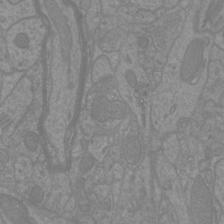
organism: Mouse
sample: Cortical neurons